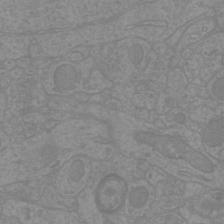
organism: Mouse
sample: Cortical neurons